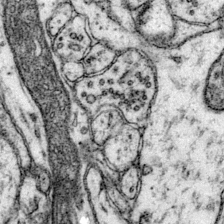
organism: Mouse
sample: Primary visual cortex